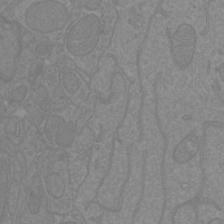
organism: Mouse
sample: Cortical neurons